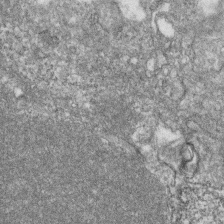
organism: Zebrafish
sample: Cilia; retinal pigment epithelium